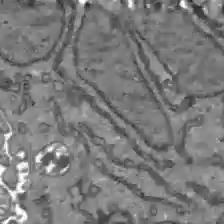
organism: C57BL Mouse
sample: Liver